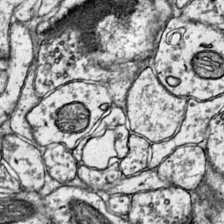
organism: Mouse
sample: Primary visual cortex